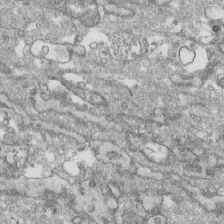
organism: Human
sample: CRL-1474